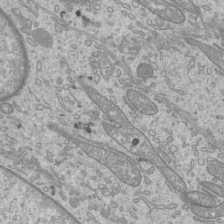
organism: Mouse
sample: Cilia; mouse epididymis